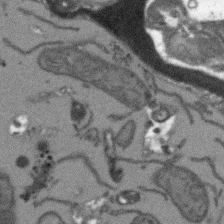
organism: Arabidopsis thaliana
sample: Root tip